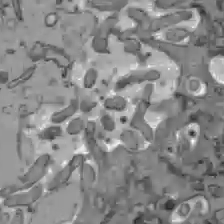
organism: C57BL Mouse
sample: Liver